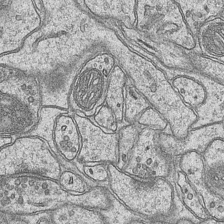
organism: Mouse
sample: CA1 Hippocampus